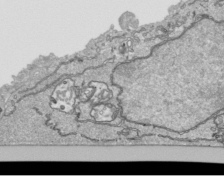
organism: Human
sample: Mitochondria in HCT116 cells